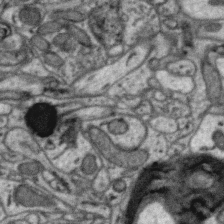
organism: Zebra finch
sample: Brain